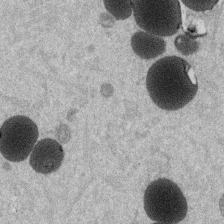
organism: Mouse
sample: Dividing mouse embryo 1 cell stage